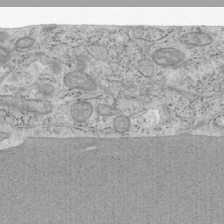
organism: Human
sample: HeLa cells